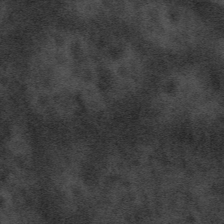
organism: Tuwongella immobilis